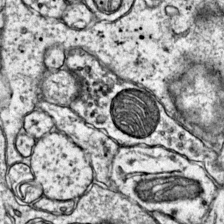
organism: Mouse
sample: Primary visual cortex